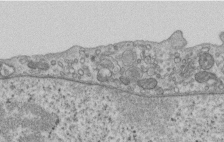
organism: Human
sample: Centriole in RPE cells